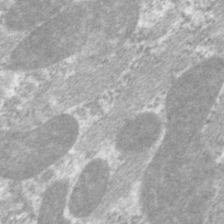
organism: C. elegans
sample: Pharynx